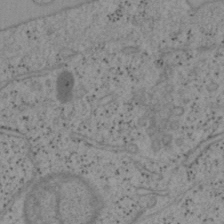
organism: Human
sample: HeLa cells